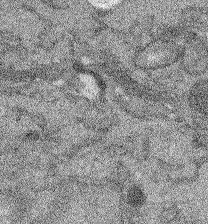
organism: Human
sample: HeLa cells